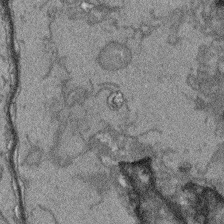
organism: Arabidopsis thaliana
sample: Root tip